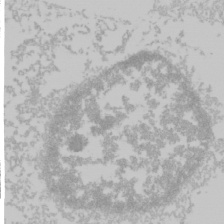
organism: Mouse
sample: Cancer cell death in ED-1 cells